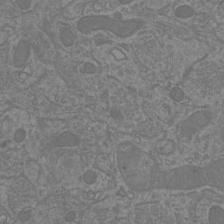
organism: Mouse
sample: Cortical neurons